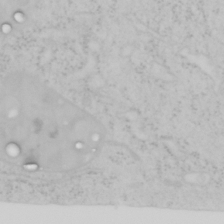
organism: Mouse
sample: OT-I killer T cells with ID8 ovarian cancer cells